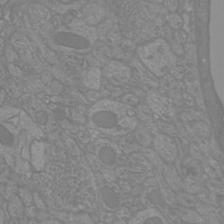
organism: Mouse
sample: Cortical neurons